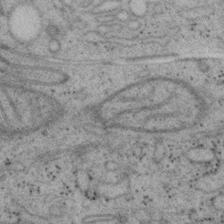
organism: Human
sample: HeLa cells